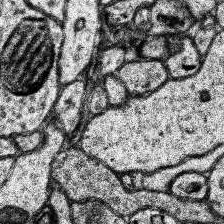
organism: Human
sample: Temporal Lobe